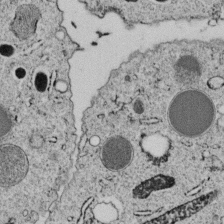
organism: C. elegans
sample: C. elegans embryo early stage